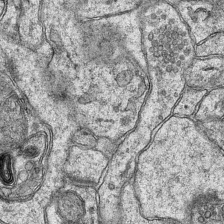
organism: Mouse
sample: CA1 Hippocampus